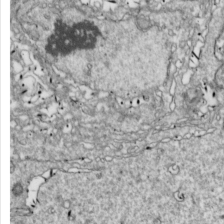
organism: Drosophila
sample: Cell division; meiosis; drosophila spermatocytes